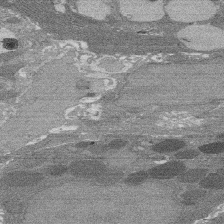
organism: Rat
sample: Salivary granule